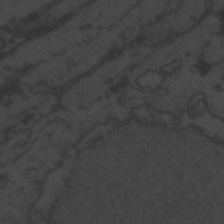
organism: Zebrafish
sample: Macrophage infected with Toxoplasma gondii